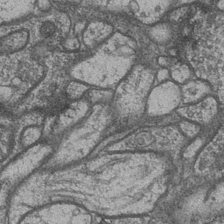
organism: Drosophila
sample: Optic medulla